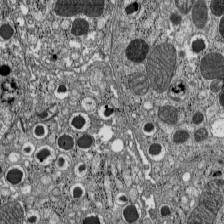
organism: C57BL Mouse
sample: Pancreatic islet